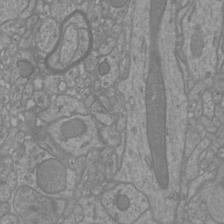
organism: Mouse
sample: Cortical neurons